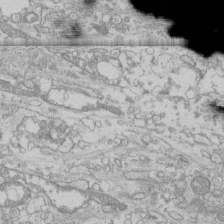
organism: Human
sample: CRL-1474